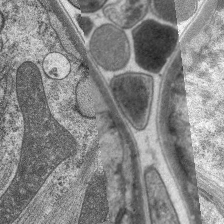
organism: C. elegans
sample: Pharynx